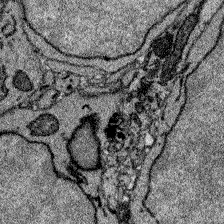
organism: Zebrafish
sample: Larval olfactory bulb